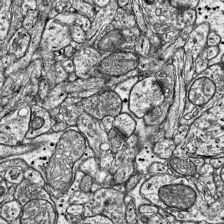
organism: Mouse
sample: Visual Cortex